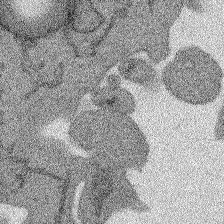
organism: Human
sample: HeLa cells